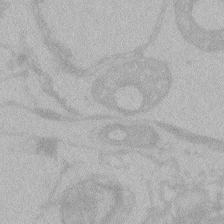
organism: Zebrafish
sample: Macrophage infected with Toxoplasma gondii